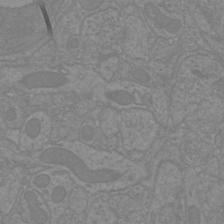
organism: Mouse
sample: Cortical neurons